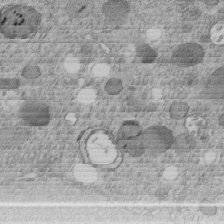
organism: C. elegans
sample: C. elegans embryo early stage